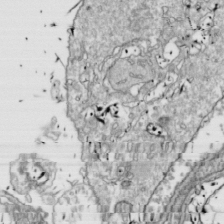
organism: Drosophila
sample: Cell division; meiosis; drosophila spermatocytes